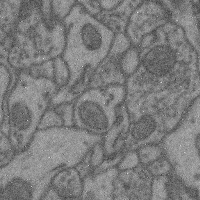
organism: Mouse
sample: Cerebral cortex